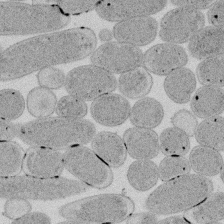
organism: E. coli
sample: Bacterial nucleoid